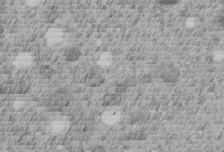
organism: C. elegans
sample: C. elegans embryo early stage